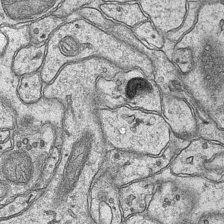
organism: Mouse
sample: CA1 Hippocampus